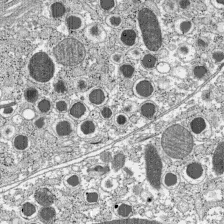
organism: C57BL Mouse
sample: Pancreatic islet